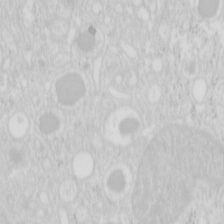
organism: Mouse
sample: Pancreas